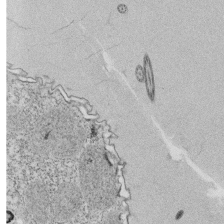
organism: Tetrahymena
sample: Cilia in tetrahymena